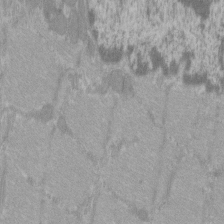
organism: C57BL Mouse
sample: Tibialis anterior muscle cell